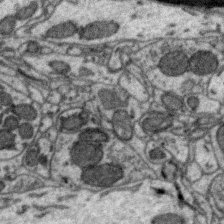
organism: Zebra finch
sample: Brain